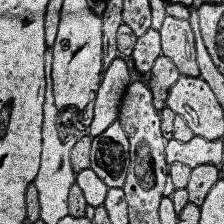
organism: Human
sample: Temporal Lobe